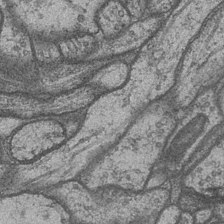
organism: Drosophila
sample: Optic medulla